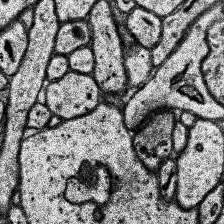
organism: Human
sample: Temporal Lobe